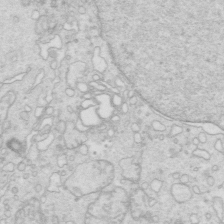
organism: Mouse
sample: Multiciliated cells